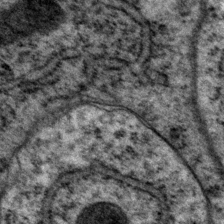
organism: P. pacificus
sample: Pharynx